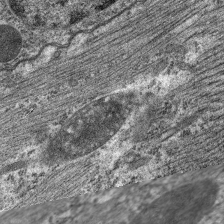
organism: C. elegans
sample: Pharynx